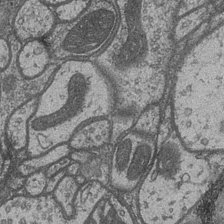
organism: Drosophila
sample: Optic medulla